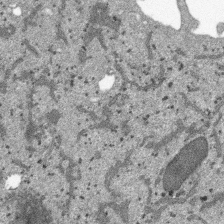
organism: Human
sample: Lung epithelial cells infected with SARS-CoV-2